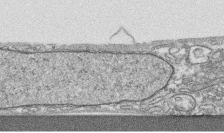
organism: Human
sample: CRL-1474